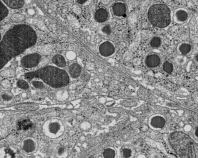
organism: C57BL Mouse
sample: Pancreatic islet